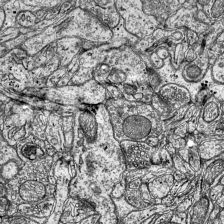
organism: Mouse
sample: Visual Cortex